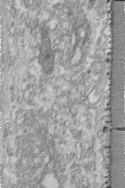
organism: Human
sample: Centriole in fibroblast cells